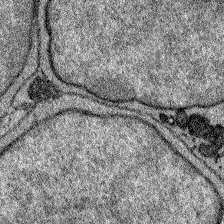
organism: Zebrafish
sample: Larval olfactory bulb